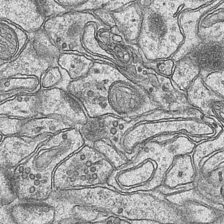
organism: Mouse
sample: CA1 Hippocampus